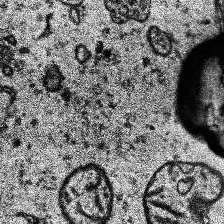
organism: Human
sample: Temporal Lobe